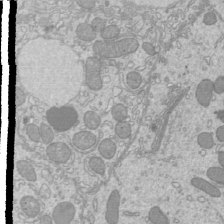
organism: Mouse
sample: Cilia; mouse epididymis